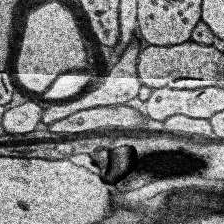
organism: Human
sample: Temporal Lobe